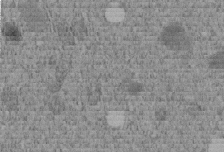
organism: C. elegans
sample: C. elegans embryo early stage